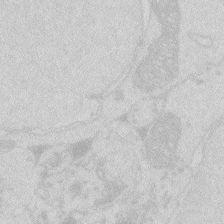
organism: Zebrafish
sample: Macrophage